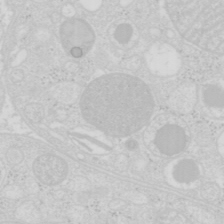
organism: Mouse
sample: Pancreas